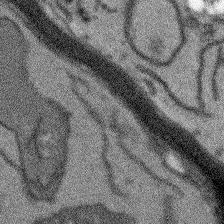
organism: Arabidopsis thaliana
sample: Root tip